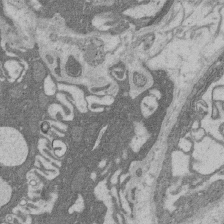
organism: Rat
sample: Salivary granule